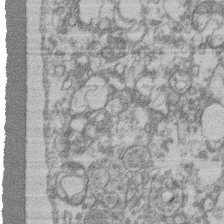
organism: Mouse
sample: T cell stromal cell synapse